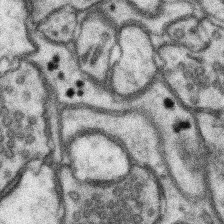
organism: Mouse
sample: Somatosensory cortex neuropil